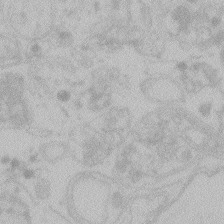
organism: Zebrafish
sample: Macrophage infected with Toxoplasma gondii